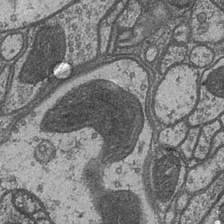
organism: Drosophila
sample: Optic medulla